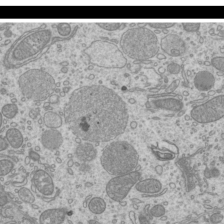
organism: Mouse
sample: Cilia; mouse epididymis